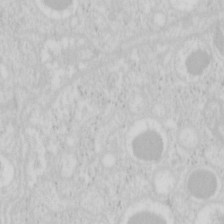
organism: Mouse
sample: Pancreas